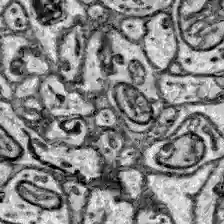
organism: Zebrafish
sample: Brain